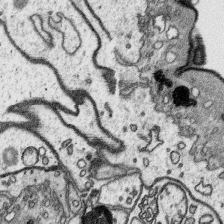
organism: Platynereis dumerilii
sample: Parapodia